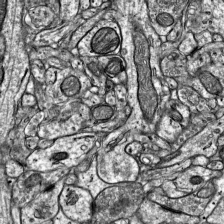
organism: Mouse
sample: Visual Cortex